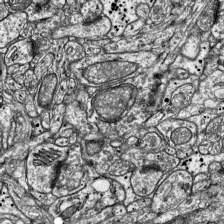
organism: Mouse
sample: Visual Cortex